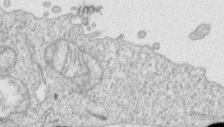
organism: Human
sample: HeLa cell HIV synapse